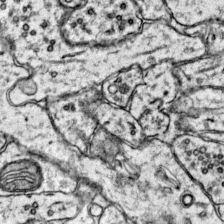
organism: Mouse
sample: Primary visual cortex